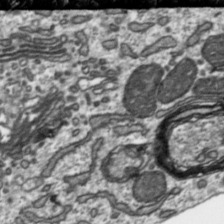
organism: Toxoplasma gondii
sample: Parasites in a vacuole inside a host cell